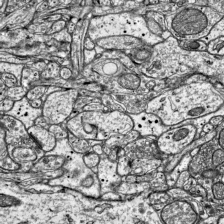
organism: Mouse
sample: Visual Cortex